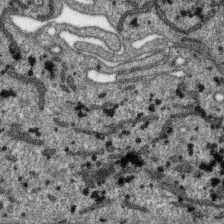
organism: Human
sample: Lung epithelial cells infected with SARS-CoV-2